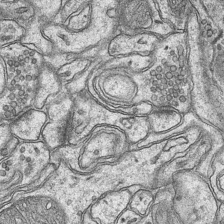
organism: Mouse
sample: CA1 Hippocampus